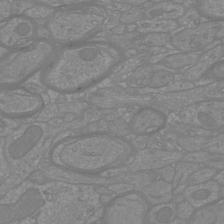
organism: Mouse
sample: Cortical neurons